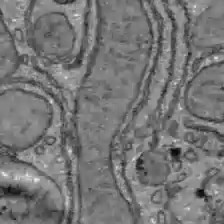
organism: C57BL Mouse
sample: Liver